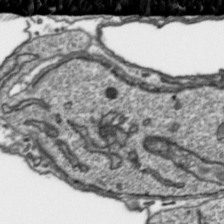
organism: Toxoplasma gondii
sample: Parasites in a vacuole inside a host cell